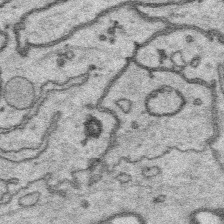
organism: Platynereis dumerilii